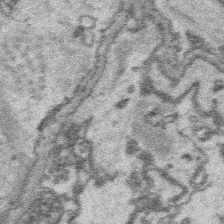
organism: Platynereis dumerilii